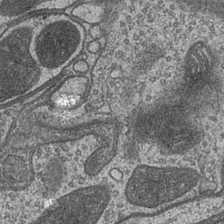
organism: Drosophila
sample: Optic medulla